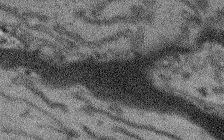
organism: Arabidopsis thaliana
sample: Root tip